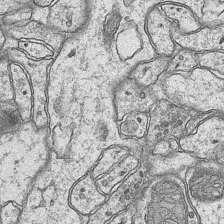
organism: Mouse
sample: CA1 Hippocampus